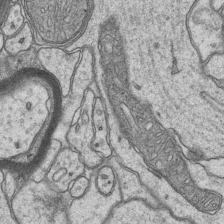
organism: Mouse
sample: CA1 Hippocampus